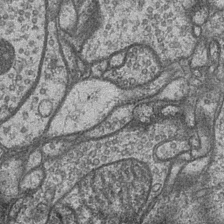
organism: Drosophila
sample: Optic medulla